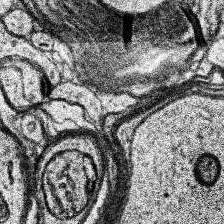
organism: Human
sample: Temporal Lobe